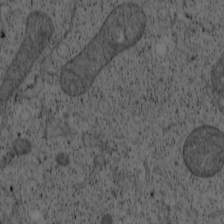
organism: African green monkey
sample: COS-7 cells